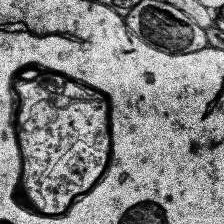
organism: Human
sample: Temporal Lobe